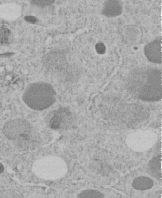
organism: C. elegans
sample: C. elegans embryo early stage